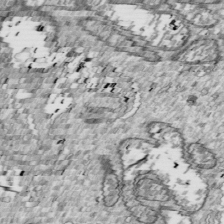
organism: Drosophila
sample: Cell division; meiosis; drosophila spermatocytes